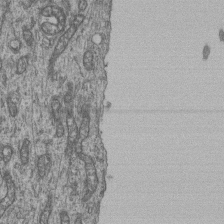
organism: Human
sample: Retinal organoid Rod and Cone cells